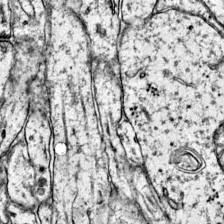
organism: Mouse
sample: Primary visual cortex